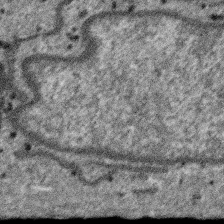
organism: Human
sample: Lung epithelial cells infected with SARS-CoV-2